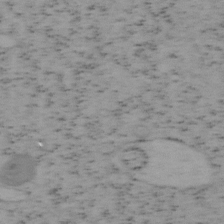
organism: Mouse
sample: OT-I killer T cells with ID8 ovarian cancer cells